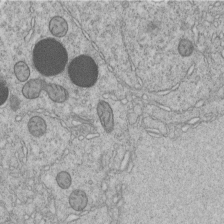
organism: C. elegans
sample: C. elegans embryo early stage